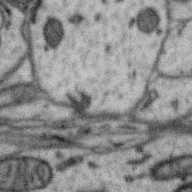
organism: Zebra finch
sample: Brain